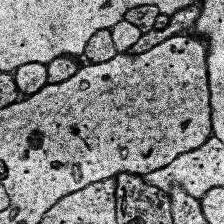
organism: Human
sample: Temporal Lobe